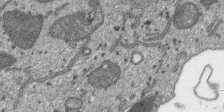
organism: Human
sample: Lung epithelial cells infected with SARS-CoV-2